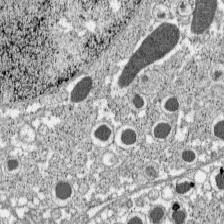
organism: C57BL Mouse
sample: Pancreatic islet